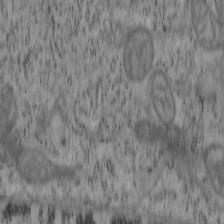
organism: Human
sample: HeLa cells